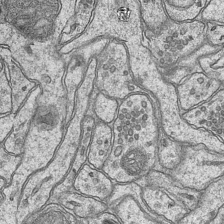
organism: Mouse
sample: CA1 Hippocampus